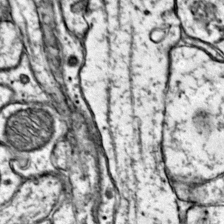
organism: Mouse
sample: Primary visual cortex